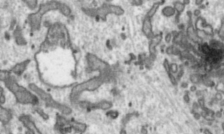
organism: Toxoplasma gondii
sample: Parasites in a vacuole inside a host cell